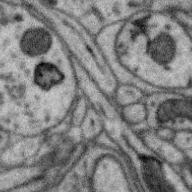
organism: Zebra finch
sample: Brain